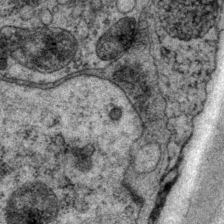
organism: P. pacificus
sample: Pharynx